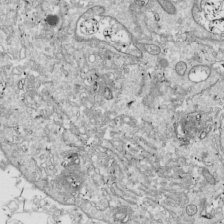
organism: Drosophila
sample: Cell division; meiosis; drosophila spermatocytes